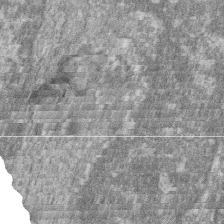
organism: Zebrafish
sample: Cilia; retinal pigment epithelium